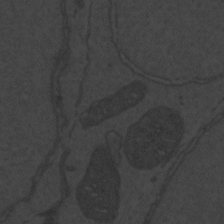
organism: Zebrafish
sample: Macrophage infected with Toxoplasma gondii